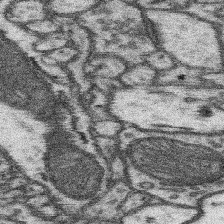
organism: Mouse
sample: Somatosensory cortex neuropil